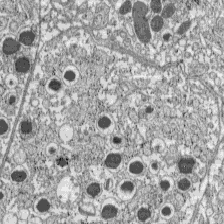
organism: C57BL Mouse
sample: Pancreatic islet